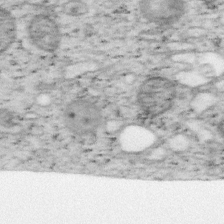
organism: Mouse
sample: OT-I killer T cells with ID8 ovarian cancer cells